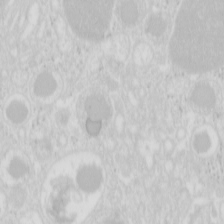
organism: Mouse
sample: Pancreas